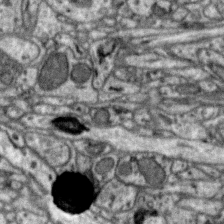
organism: Zebra finch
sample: Brain